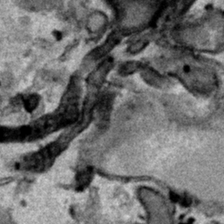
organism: Human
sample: Mitochondria in HCT116 cells